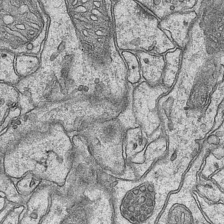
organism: Mouse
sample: CA1 Hippocampus